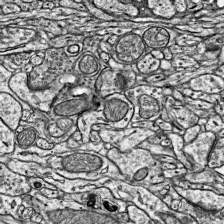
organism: Mouse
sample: Visual Cortex